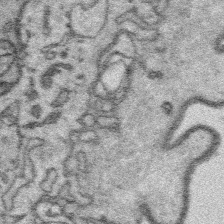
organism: Platynereis dumerilii